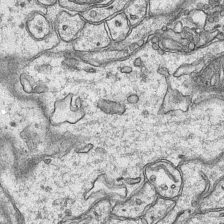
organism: Mouse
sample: CA1 Hippocampus